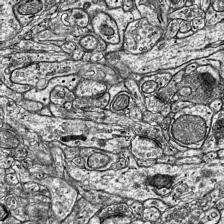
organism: Mouse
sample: Visual Cortex